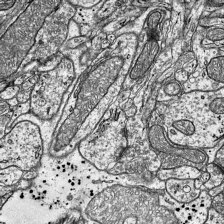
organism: Mouse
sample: Visual Cortex